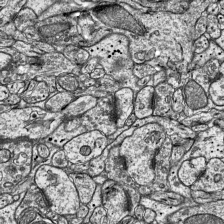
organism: Mouse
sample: Visual Cortex